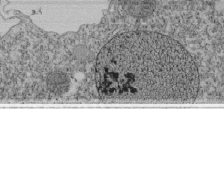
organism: Tetrahymena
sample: Cilia in tetrahymena